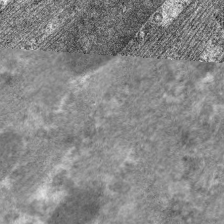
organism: C. elegans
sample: Pharynx